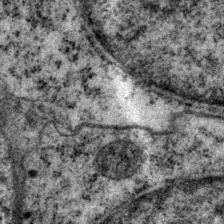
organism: P. pacificus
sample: Pharynx